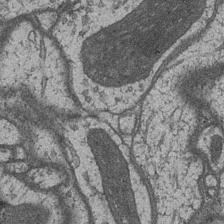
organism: Drosophila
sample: Optic medulla